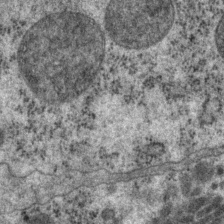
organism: P. pacificus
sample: Pharynx